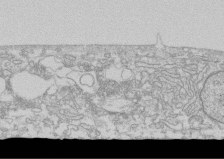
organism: Human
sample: CRL-1474